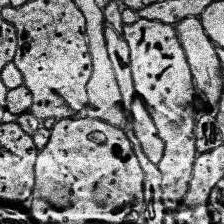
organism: Human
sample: Temporal Lobe